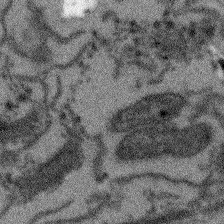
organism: Arabidopsis thaliana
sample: Root tip